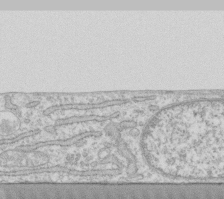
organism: Human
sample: Fibroblast cells